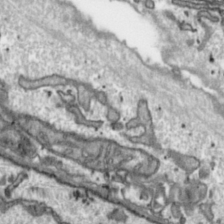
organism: Toxoplasma gondii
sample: Parasites in a vacuole inside a host cell